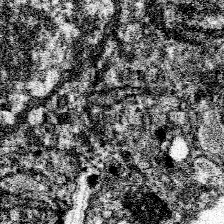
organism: Spongilla lacustris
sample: Neuroid cell